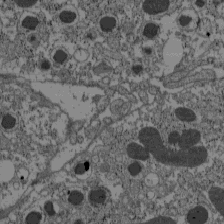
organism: C57BL Mouse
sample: Pancreatic islet